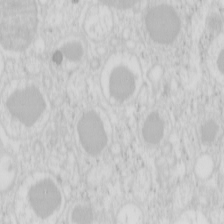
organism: Mouse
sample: Pancreas